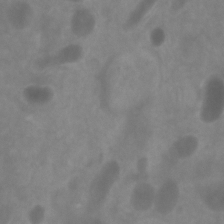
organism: Zebrafish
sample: Zebrafish embryo